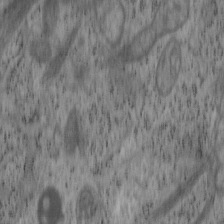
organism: Human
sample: HeLa cells